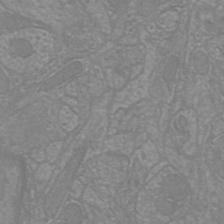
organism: Mouse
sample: Cortical neurons